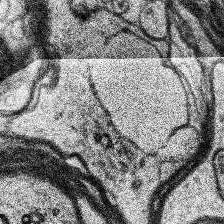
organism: Human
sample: Temporal Lobe